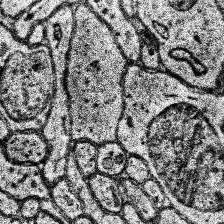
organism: Human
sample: Temporal Lobe